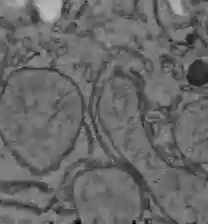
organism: C57BL Mouse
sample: Liver